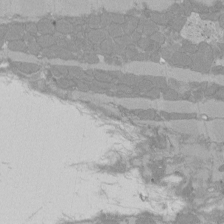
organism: Rat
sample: Left ventricle